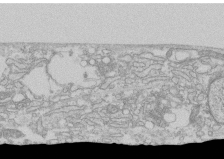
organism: Human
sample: CRL-1474